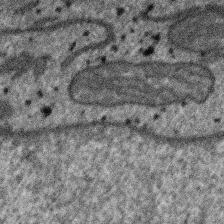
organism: Human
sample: Lung epithelial cells infected with SARS-CoV-2